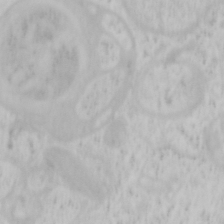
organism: Mouse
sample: OT-I killer T cells with ID8 ovarian cancer cells